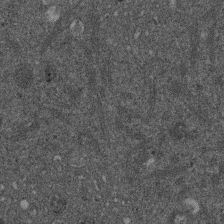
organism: Mouse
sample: Dividing mouse embryo 1 cell stage